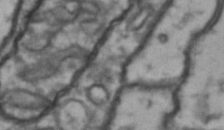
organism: Drosophila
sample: Brain